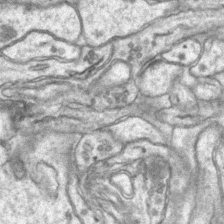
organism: Mouse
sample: CA1 Hippocampus